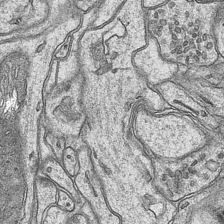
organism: Mouse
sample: CA1 Hippocampus